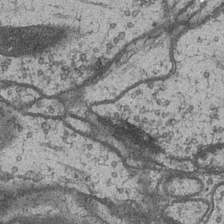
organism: Drosophila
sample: Optic medulla